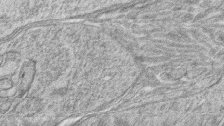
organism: Zebrafish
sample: synaptic ribbons in rod cells and cone cells